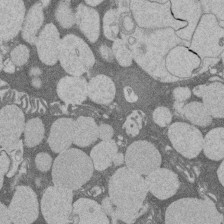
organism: Rat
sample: Salivary granule